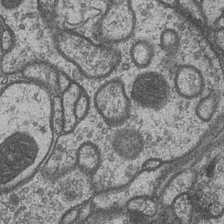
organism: Drosophila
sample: Optic medulla